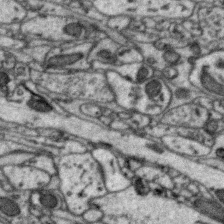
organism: Zebra finch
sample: Brain